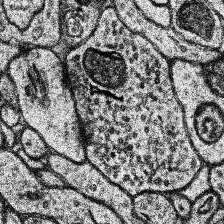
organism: Human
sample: Temporal Lobe